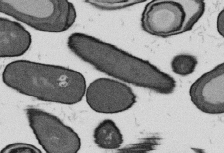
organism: B. subtilis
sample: Bacterial spore